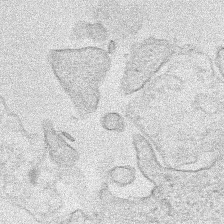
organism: Human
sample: Mitochondria in HCT116 cells